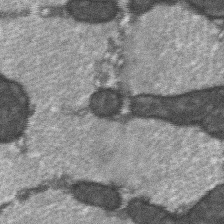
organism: C57BL Mouse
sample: Soleus